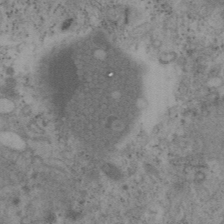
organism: Mouse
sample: OT-I killer T cells with ID8 ovarian cancer cells